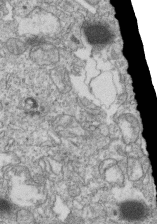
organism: Human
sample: HeLa cell HIV synapse